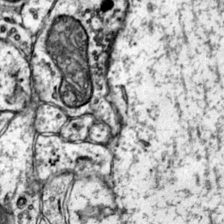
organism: Mouse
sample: Primary visual cortex